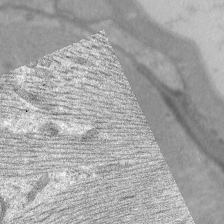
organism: C. elegans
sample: Pharynx